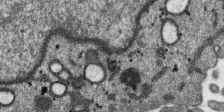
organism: Human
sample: Lung epithelial cells infected with SARS-CoV-2